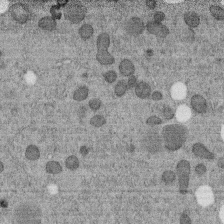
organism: C. elegans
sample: C. elegans embryo early stage